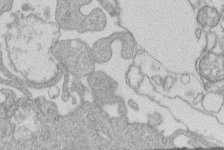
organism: Human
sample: Macrophage cells